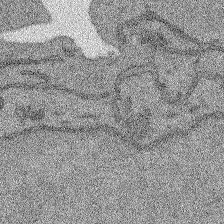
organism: Human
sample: HeLa cells